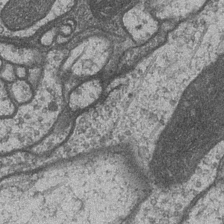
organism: Drosophila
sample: Optic medulla